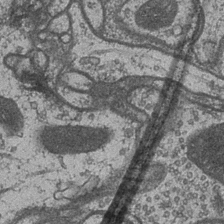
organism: Drosophila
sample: Optic medulla